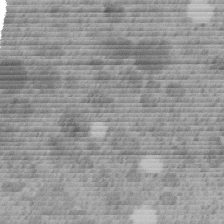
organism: C. elegans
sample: C. elegans embryo early stage